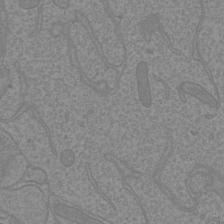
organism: Mouse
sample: Cortical neurons